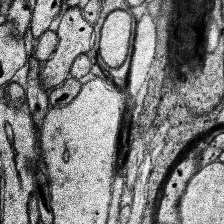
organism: Human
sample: Temporal Lobe